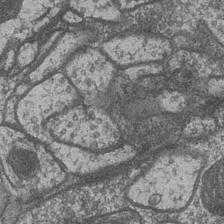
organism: Drosophila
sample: Optic medulla